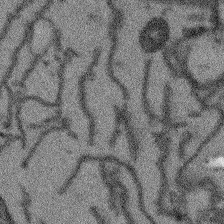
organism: Arabidopsis thaliana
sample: Root tip